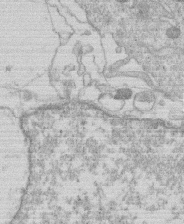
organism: Human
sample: Macrophage cells